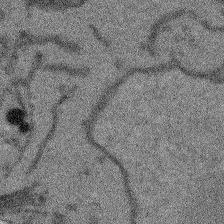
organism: Arabidopsis thaliana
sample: Root tip